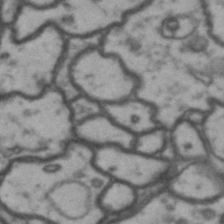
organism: Drosophila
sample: Brain